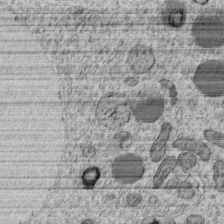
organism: C. elegans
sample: C. elegans embryo early stage